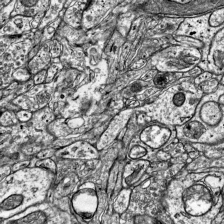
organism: Mouse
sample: Visual Cortex